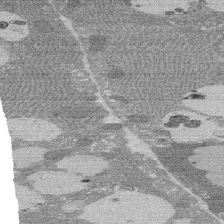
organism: Rat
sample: Salivary granule